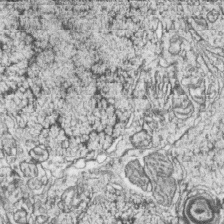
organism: Zebrafish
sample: synaptic ribbons in rod cells and cone cells